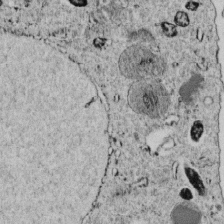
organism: C. elegans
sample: C. elegans embryo early stage